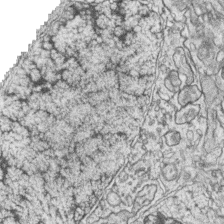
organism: Zebrafish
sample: synaptic ribbons in rod cells and cone cells